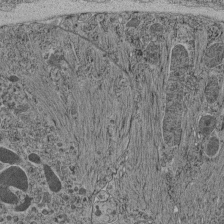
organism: C. elegans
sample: C. elegans pharynx